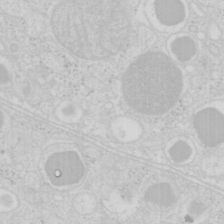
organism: Mouse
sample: Pancreas